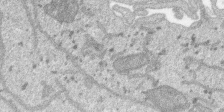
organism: Human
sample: Lung epithelial cells infected with SARS-CoV-2